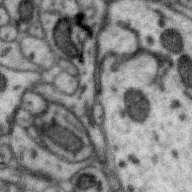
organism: Zebra finch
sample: Brain